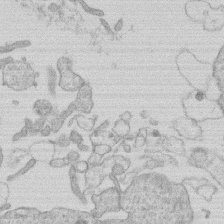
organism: Human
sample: Macrophage cells